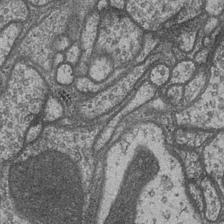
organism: Drosophila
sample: Optic medulla